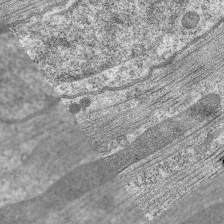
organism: C. elegans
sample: Pharynx